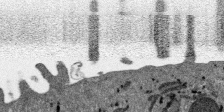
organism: Human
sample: Lung epithelial cells, uninfected (mock) control